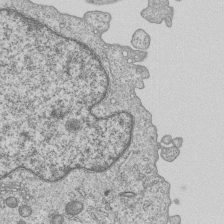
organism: Human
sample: MDA-MB-231 cells